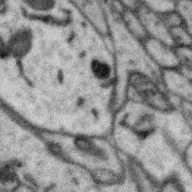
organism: Zebra finch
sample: Brain